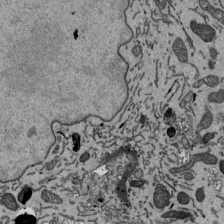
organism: Mouse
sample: ED-1 cell nuclei; centrioles